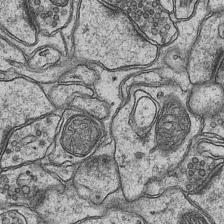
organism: Mouse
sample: CA1 Hippocampus